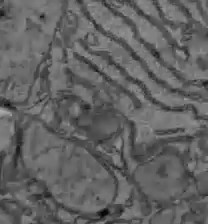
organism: C57BL Mouse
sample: Liver